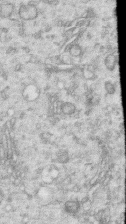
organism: Human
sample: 1205lu cells